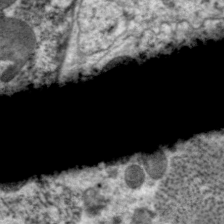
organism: C. elegans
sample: Pharynx